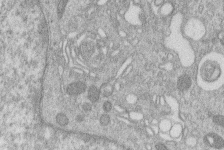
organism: Human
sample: Macrophage cells